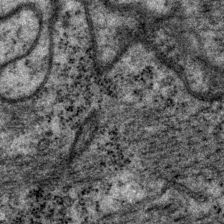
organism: P. pacificus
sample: Pharynx